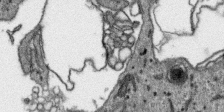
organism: Human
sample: Lung epithelial cells, uninfected (mock) control